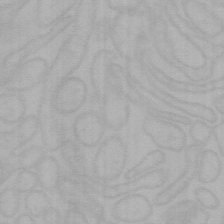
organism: Mouse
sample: Choroid plexus